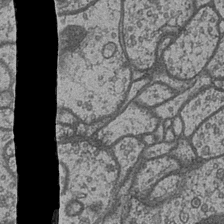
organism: Drosophila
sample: Optic medulla